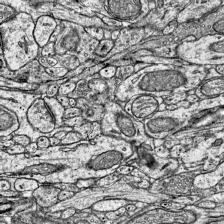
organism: Mouse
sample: Visual Cortex